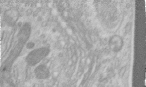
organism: Human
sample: Centriole in RPE cells